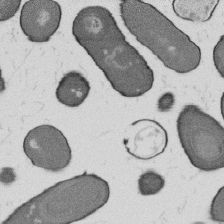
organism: B. subtilis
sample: Bacterial spore